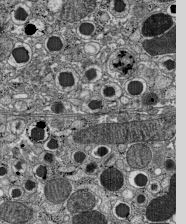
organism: C57BL Mouse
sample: Pancreatic islet